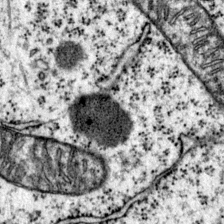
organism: Mouse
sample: Primary visual cortex